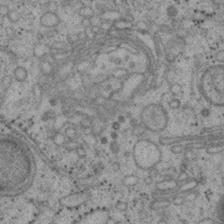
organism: Human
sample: HeLa cells